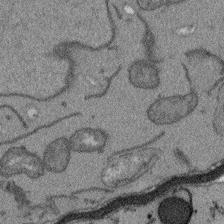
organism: Arabidopsis thaliana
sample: Root tip